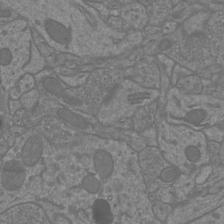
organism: Mouse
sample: Cortical neurons